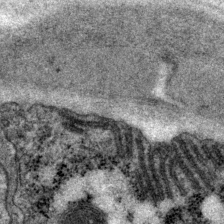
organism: P. pacificus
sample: Pharynx